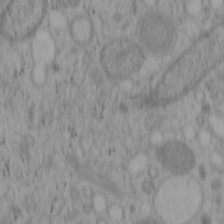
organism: Mouse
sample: OT-I killer T cells with ID8 ovarian cancer cells